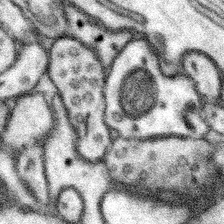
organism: Mouse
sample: Somatosensory cortex neuropil